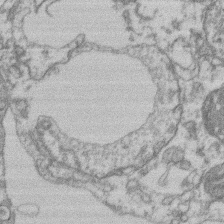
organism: Mouse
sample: T cell stromal cell synapse